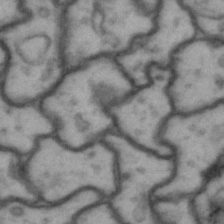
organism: Drosophila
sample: Brain